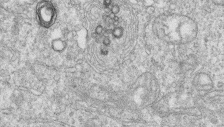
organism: Human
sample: HeLa cell HIV synapse